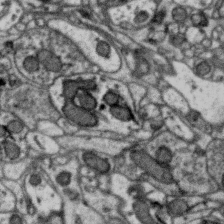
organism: Zebra finch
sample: Brain